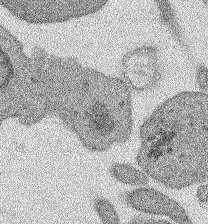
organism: Human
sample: HeLa cells